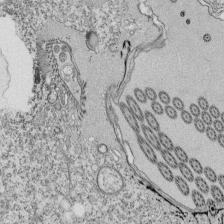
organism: Tetrahymena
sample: Cilia in tetrahymena